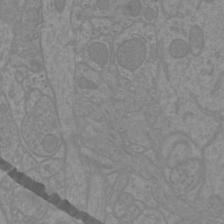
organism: Mouse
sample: Cortical neurons